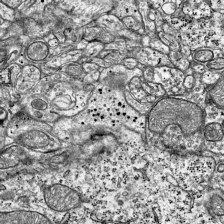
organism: Mouse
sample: Visual Cortex